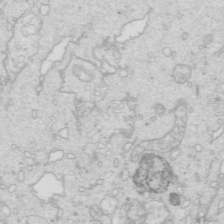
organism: Mouse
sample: Multiciliated cells